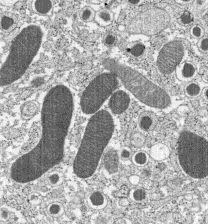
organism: C57BL Mouse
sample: Pancreatic islet